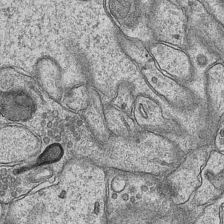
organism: Mouse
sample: CA1 Hippocampus